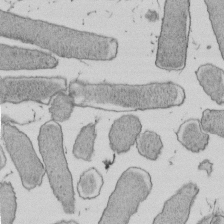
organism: E. coli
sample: Bacterial nucleoid